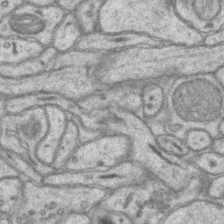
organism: Mouse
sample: CA1 Hippocampus